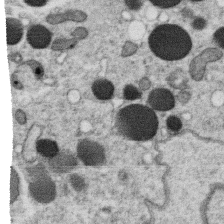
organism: C. elegans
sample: C. elegans oocyte; sperm cells